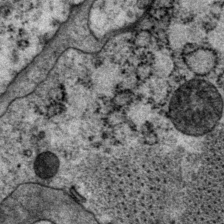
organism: P. pacificus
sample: Pharynx